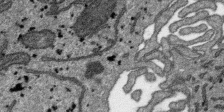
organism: Human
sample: Lung epithelial cells, uninfected (mock) control